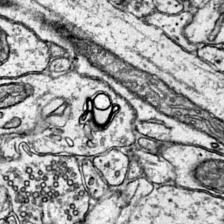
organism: Mouse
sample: Primary visual cortex